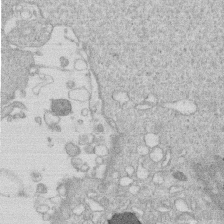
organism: Human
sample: Macrophage cells